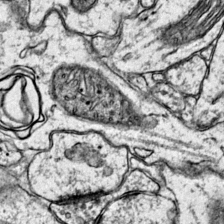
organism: Mouse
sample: Primary visual cortex